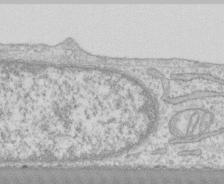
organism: Human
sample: CRL-1474